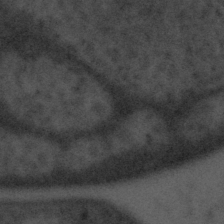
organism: Tuwongella immobilis